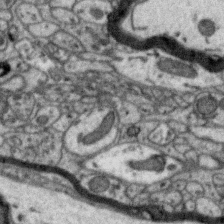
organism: Zebra finch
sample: Brain